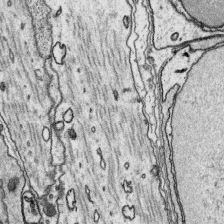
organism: Platynereis dumerilii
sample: Parapodia